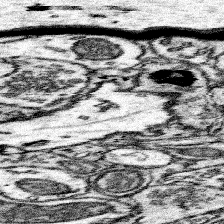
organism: Mouse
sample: Somatosensory cortex neuropil